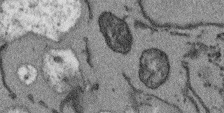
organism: Arabidopsis thaliana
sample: Root tip